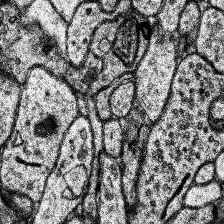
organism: Human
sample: Temporal Lobe